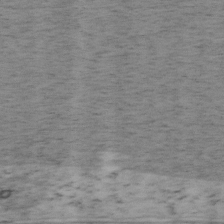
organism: Mouse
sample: OT-I killer T cells with ID8 ovarian cancer cells